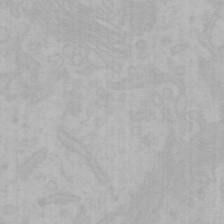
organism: Mouse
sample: Choroid plexus